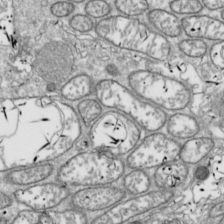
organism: Drosophila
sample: Cell division; meiosis; drosophila spermatocytes